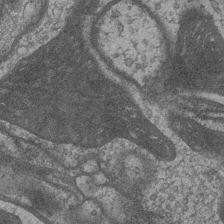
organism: Drosophila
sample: Optic medulla